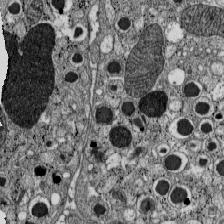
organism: C57BL Mouse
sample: Pancreatic islet